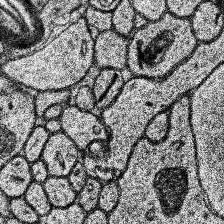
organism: Human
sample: Temporal Lobe